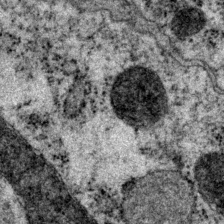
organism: P. pacificus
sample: Pharynx